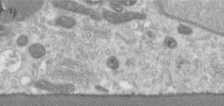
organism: Human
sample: Centriole in RPE cells